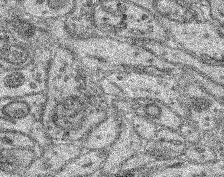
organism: Mouse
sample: Retina